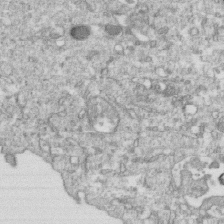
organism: Mouse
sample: Activated OT-1 CD8+ T cells